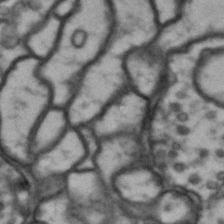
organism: Drosophila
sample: Brain